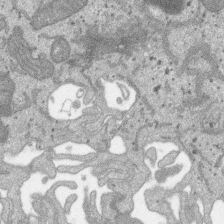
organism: Human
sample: Lung epithelial cells infected with SARS-CoV-2